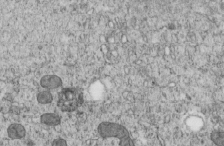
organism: C. elegans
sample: C. elegans embryo early stage